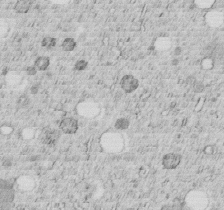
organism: C. elegans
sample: C. elegans embryo early stage